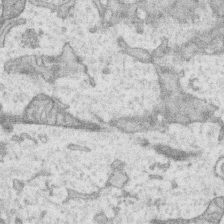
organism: Human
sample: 1205lu cells